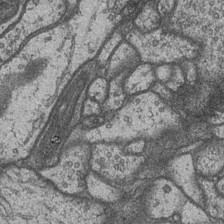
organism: Drosophila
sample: Optic medulla